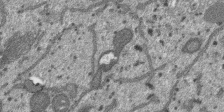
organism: Human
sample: Lung epithelial cells infected with SARS-CoV-2